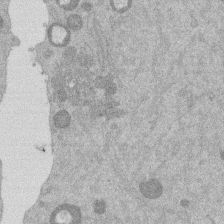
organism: Mouse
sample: Dividing mouse embryo 1 cell stage